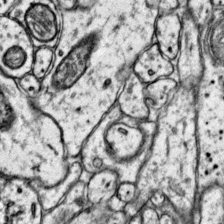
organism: Mouse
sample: Primary visual cortex